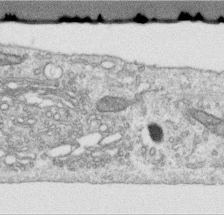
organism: Human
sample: Centriole in RPE cells